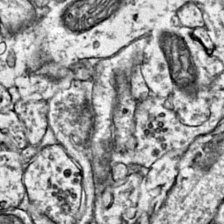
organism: Mouse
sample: Primary visual cortex